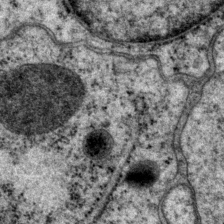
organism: P. pacificus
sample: Pharynx